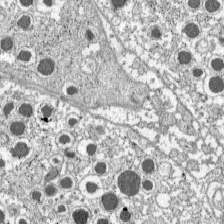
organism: C57BL Mouse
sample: Pancreatic islet